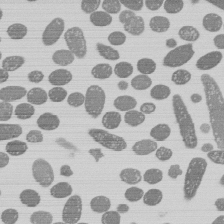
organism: E. coli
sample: Bacterial nucleoid